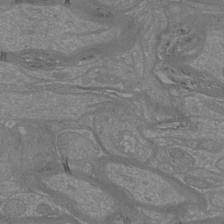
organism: Mouse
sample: Cortical neurons